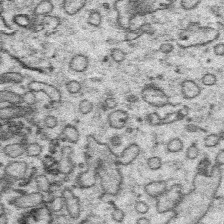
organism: Platynereis dumerilii